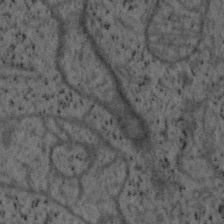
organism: Human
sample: HeLa cells